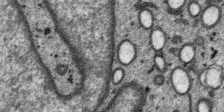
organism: Human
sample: Lung epithelial cells infected with SARS-CoV-2